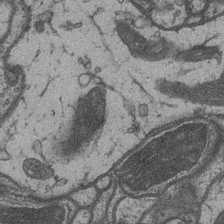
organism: Drosophila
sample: Optic medulla